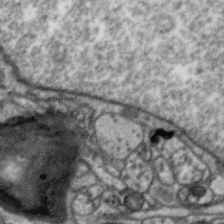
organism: Zebra finch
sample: Brain